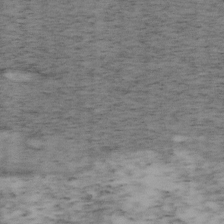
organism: Mouse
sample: OT-I killer T cells with ID8 ovarian cancer cells